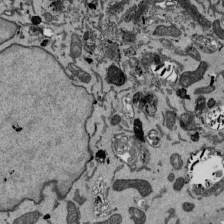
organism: Mouse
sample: ED-1 cell nuclei; centrioles